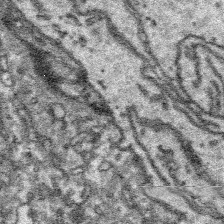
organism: Platynereis dumerilii